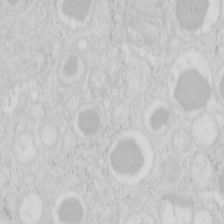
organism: Mouse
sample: Pancreas